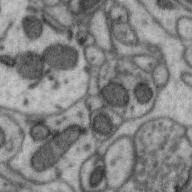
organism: Zebra finch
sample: Brain